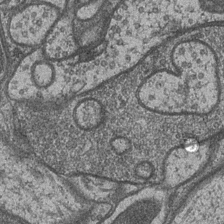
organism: Drosophila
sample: Optic medulla